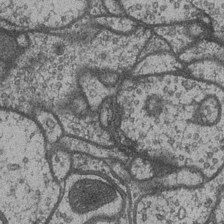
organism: Drosophila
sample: Optic medulla